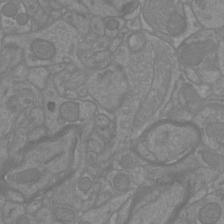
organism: Mouse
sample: Cortical neurons